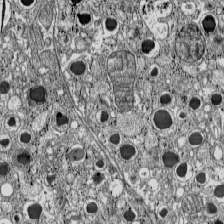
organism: C57BL Mouse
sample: Pancreatic islet